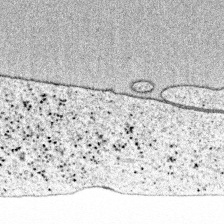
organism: Human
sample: HeLa cells